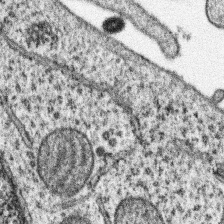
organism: Human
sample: HeLa cells